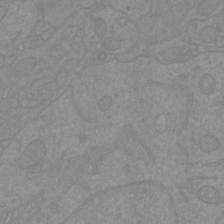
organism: Mouse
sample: Cortical neurons